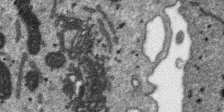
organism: Human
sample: Lung epithelial cells infected with SARS-CoV-2